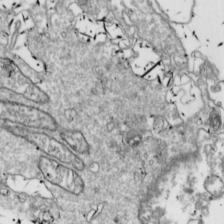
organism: Drosophila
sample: Cell division; meiosis; drosophila spermatocytes